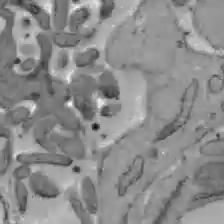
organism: C57BL Mouse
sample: Liver